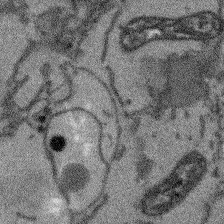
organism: Arabidopsis thaliana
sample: Root tip